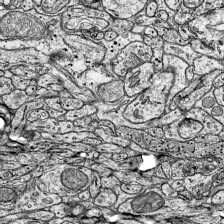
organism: Mouse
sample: Visual Cortex